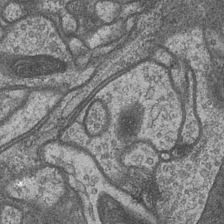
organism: Drosophila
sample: Optic medulla